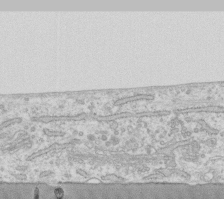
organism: Human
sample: Fibroblast cells